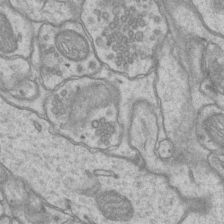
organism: Mouse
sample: CA1 Hippocampus